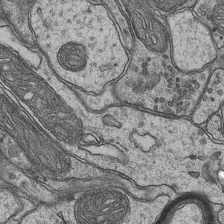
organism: Mouse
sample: CA1 Hippocampus